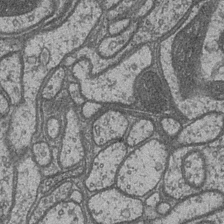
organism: Drosophila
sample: Optic medulla